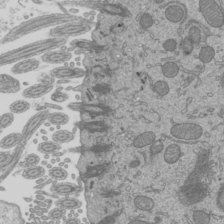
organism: Mouse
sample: Cilia; mouse epididymis